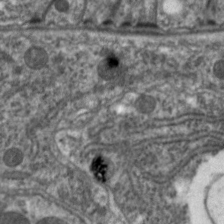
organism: C. elegans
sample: Pharynx